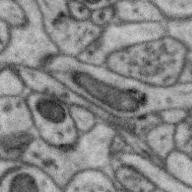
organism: Zebra finch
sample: Brain